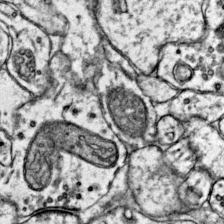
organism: Mouse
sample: Primary visual cortex